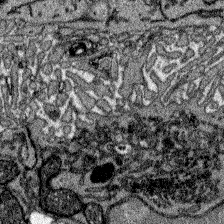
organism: Zebrafish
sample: Larval olfactory bulb